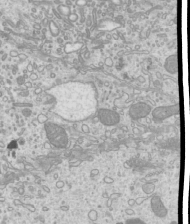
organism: Mouse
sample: Cilia; mouse epididymis